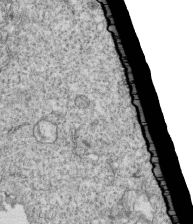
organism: Human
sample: HeLa cell HIV synapse